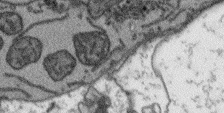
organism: Arabidopsis thaliana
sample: Root tip